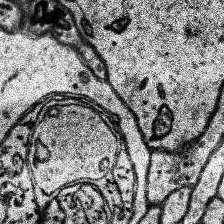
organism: Human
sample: Temporal Lobe